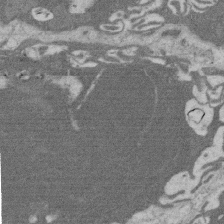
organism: Rat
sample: Salivary granule